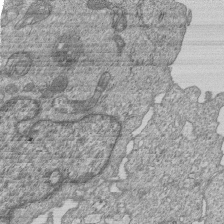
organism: Human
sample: MDA-MB-231 cells